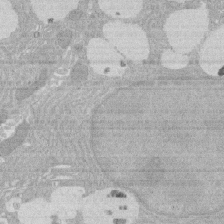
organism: Rat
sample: Salivary granule